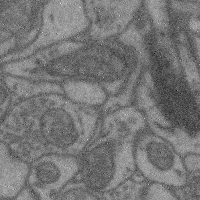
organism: Mouse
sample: Cerebral cortex